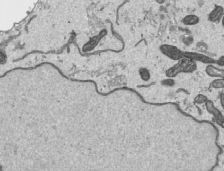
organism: Human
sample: Mitochondria in HCT116 cells